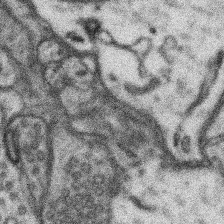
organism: Mouse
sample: Somatosensory cortex neuropil